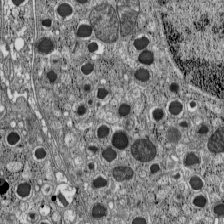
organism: C57BL Mouse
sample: Pancreatic islet